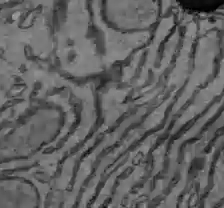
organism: C57BL Mouse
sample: Liver